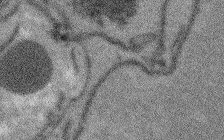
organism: Arabidopsis thaliana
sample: Root tip